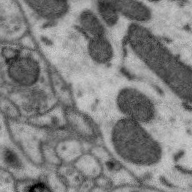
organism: Zebra finch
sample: Brain